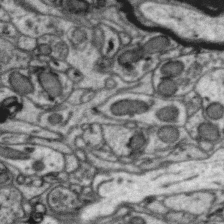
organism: Zebra finch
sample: Brain